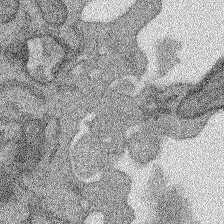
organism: Human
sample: HeLa cells